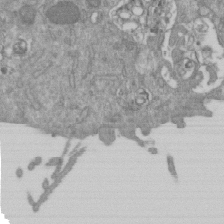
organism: Mouse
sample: ED-1 cell nuclei; centrioles